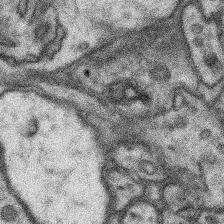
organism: Mouse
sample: Somatosensory cortex neuropil